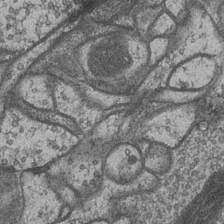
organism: Drosophila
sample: Optic medulla